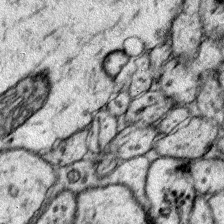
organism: Mouse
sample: Primary visual cortex